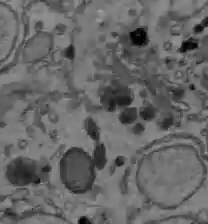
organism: C57BL Mouse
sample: Liver